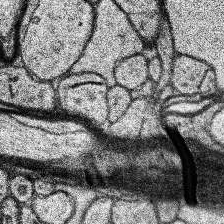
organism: Human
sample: Temporal Lobe